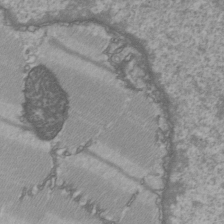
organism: C57BL Mouse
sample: Heart